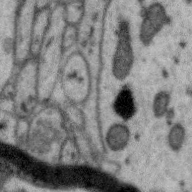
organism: Zebra finch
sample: Brain